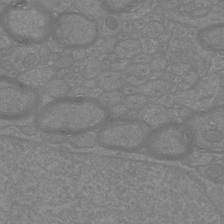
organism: Mouse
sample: Cortical neurons